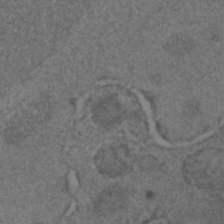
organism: C. elegans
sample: C. elegans embryo